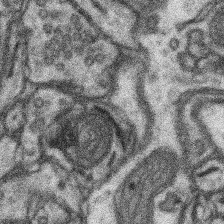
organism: Mouse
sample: Somatosensory cortex neuropil